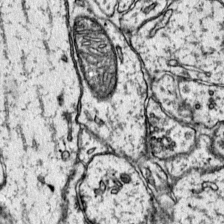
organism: Mouse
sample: Primary visual cortex